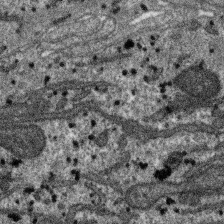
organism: Human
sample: Lung epithelial cells infected with SARS-CoV-2